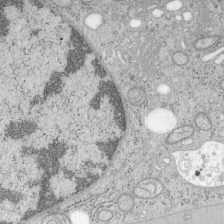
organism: Mouse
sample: OT-I killer T cells with ID8 ovarian cancer cells